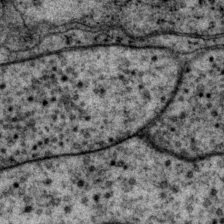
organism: P. pacificus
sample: Pharynx